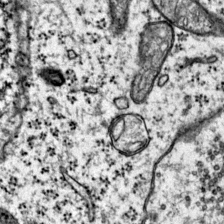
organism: Mouse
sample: Primary visual cortex